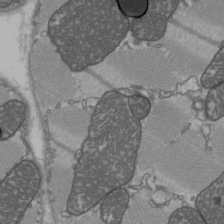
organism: C57BL Mouse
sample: Heart